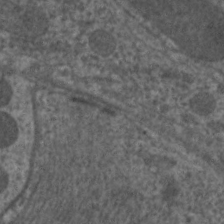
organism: C. elegans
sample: Pharynx